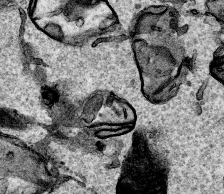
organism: Human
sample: Mitochondria in HCT116 cells